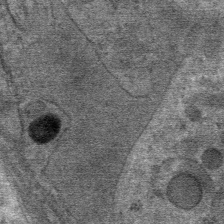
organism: Mouse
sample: Mouse Salivary gland